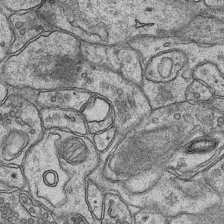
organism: Mouse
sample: CA1 Hippocampus